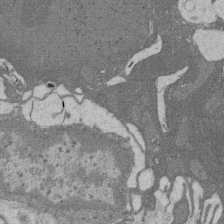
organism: Rat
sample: Salivary granule